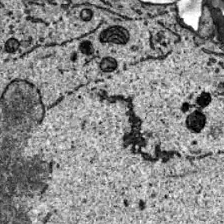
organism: Human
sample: HeLa cells